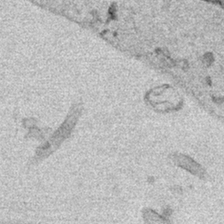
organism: Human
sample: Mitochondria in HCT116 cells